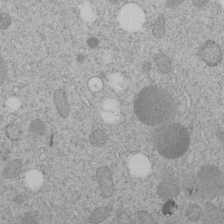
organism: C. elegans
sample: C. elegans embryo early stage